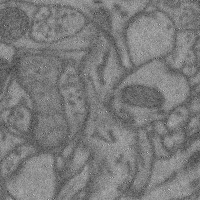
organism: Mouse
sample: Cerebral cortex